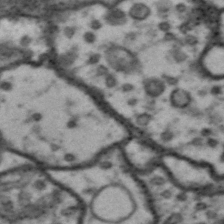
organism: Drosophila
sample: Brain